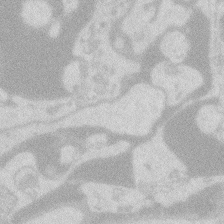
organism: Zebrafish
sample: Macrophage